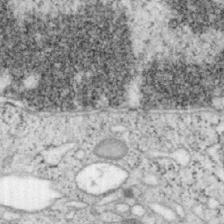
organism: Mouse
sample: OT-I killer T cells with ID8 ovarian cancer cells